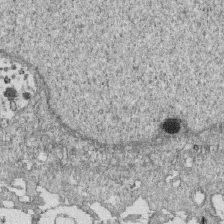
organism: Human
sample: HeLa cell HIV synapse